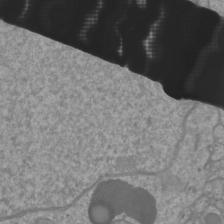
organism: Mouse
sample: Cortical neurons